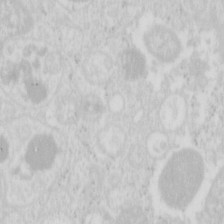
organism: Mouse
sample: Pancreas